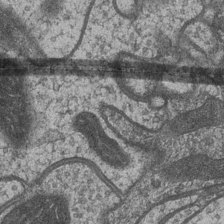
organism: Drosophila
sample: Optic medulla